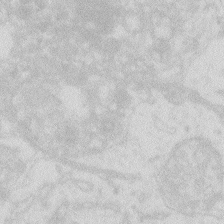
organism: Zebrafish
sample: Macrophage